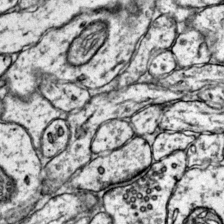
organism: Mouse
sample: Primary visual cortex